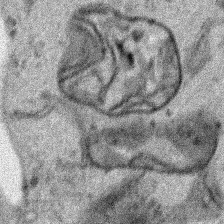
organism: Human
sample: Mitochondria in HCT116 cells